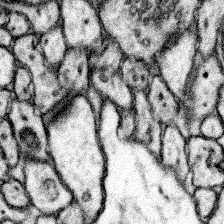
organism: Mouse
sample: Somatosensory cortex neuropil